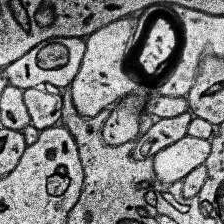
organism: Human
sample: Temporal Lobe